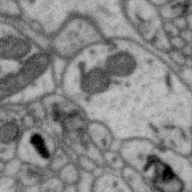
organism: Zebra finch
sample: Brain